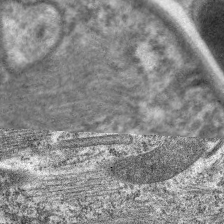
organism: C. elegans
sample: Pharynx